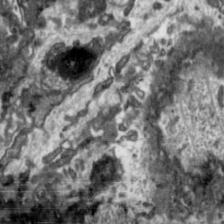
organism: Toxoplasma gondii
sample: Parasites in a vacuole inside a host cell